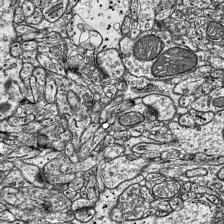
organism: Mouse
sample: Visual Cortex